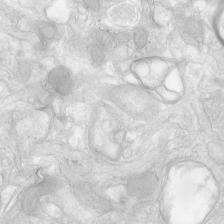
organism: Human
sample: Neocortex